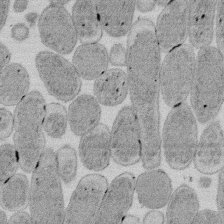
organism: E. coli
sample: Bacterial nucleoid